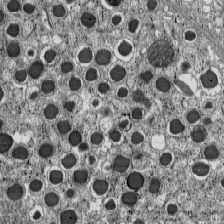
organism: C57BL Mouse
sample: Pancreatic islet